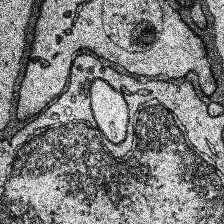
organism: Human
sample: Temporal Lobe